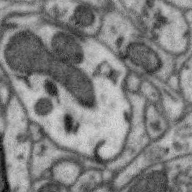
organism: Zebra finch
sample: Brain